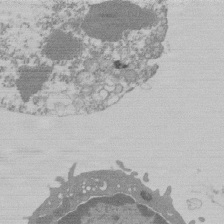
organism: Mouse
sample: Activated Pmel transgenic CD8+ T Cells